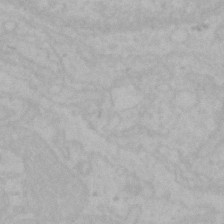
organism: Mouse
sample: Choroid plexus